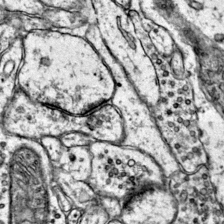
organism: Mouse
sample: Primary visual cortex